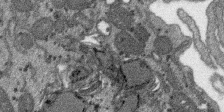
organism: Human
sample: Lung epithelial cells infected with SARS-CoV-2